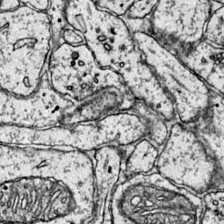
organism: Mouse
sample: Primary visual cortex